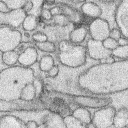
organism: Rabbit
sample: Retina